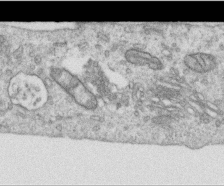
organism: Human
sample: Centriole in RPE cells